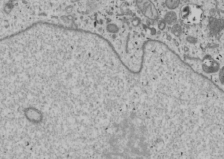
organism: Human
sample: Mitochondria in U2OS cells